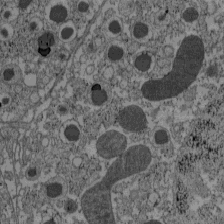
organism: C57BL Mouse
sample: Pancreatic islet